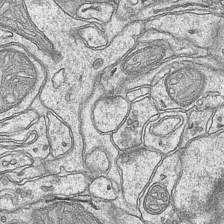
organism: Mouse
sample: CA1 Hippocampus